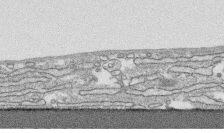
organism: Human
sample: CRL-1474